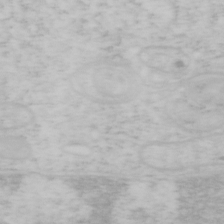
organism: Mouse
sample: OT-I killer T cells with ID8 ovarian cancer cells